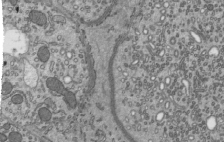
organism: Mouse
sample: Mouse epididymis efferent ductule cilia